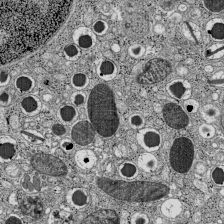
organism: C57BL Mouse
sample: Pancreatic islet